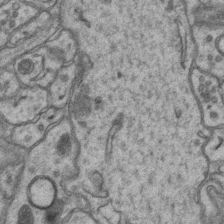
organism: Mouse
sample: CA1 Hippocampus